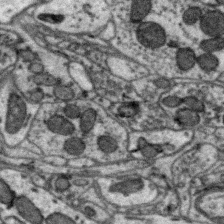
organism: Zebra finch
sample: Brain